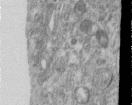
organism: Human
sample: Centriole in RPE cells